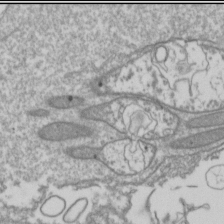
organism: Drosophila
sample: Cell division; meiosis; drosophila spermatocytes